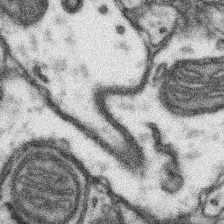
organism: Mouse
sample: Somatosensory cortex neuropil